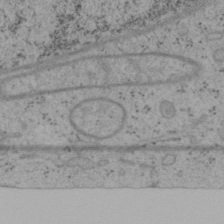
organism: Human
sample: HeLa cells